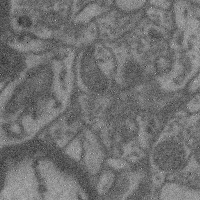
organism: Mouse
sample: Cerebral cortex